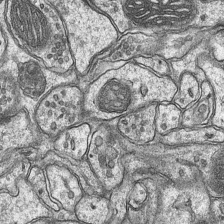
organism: Mouse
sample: CA1 Hippocampus